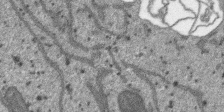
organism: Human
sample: Lung epithelial cells infected with SARS-CoV-2